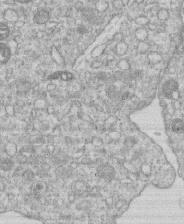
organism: Human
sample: Macrophage cells